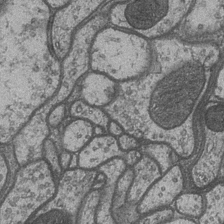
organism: Drosophila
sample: Optic medulla